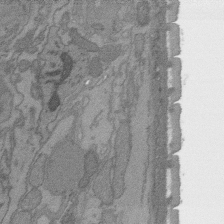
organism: C. elegans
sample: AFD neurons C. elegans